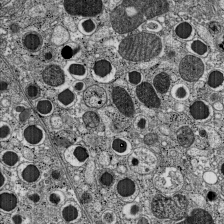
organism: C57BL Mouse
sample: Pancreatic islet